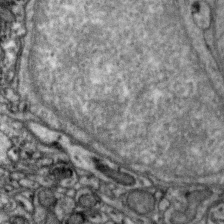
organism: Zebra finch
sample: Brain